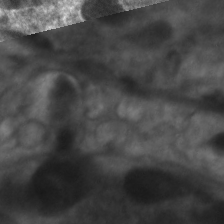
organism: C. elegans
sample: Pharynx